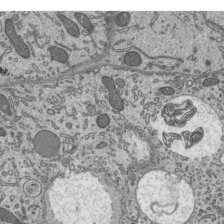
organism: Mouse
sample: Mouse epididymis efferent ductule cilia